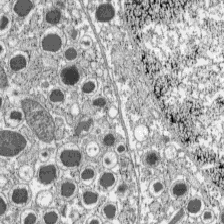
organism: C57BL Mouse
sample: Pancreatic islet